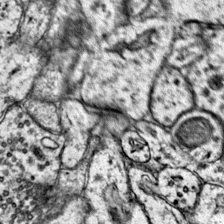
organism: Mouse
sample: Primary visual cortex